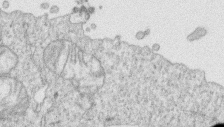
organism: Human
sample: HeLa cell HIV synapse